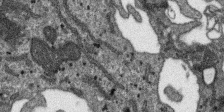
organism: Human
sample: Lung epithelial cells infected with SARS-CoV-2